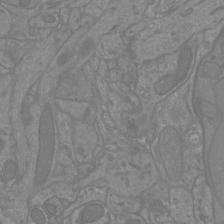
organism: Mouse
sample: Cortical neurons